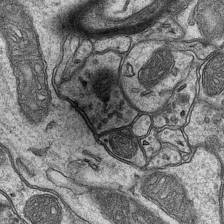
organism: Mouse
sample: CA1 Hippocampus